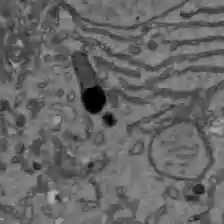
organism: C57BL Mouse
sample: Liver